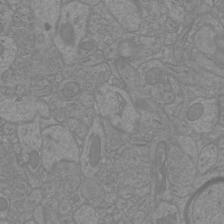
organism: Mouse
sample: Cortical neurons